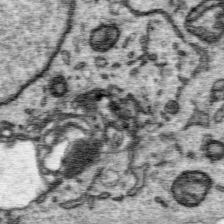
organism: Human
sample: HeLa cells